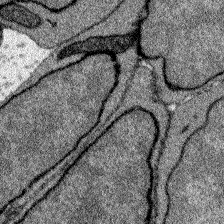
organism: Zebrafish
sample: Larval olfactory bulb